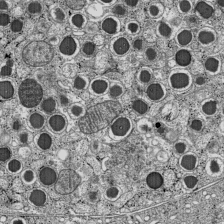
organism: C57BL Mouse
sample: Pancreatic islet